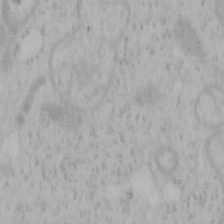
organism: Mouse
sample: OT-I killer T cells with ID8 ovarian cancer cells